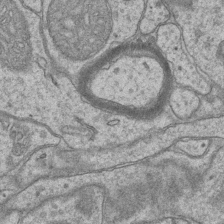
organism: Mouse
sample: CA1 Hippocampus